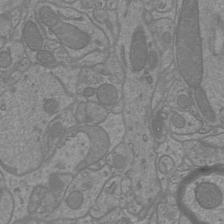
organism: Mouse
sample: Cortical neurons